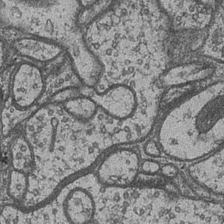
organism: Drosophila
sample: Optic medulla